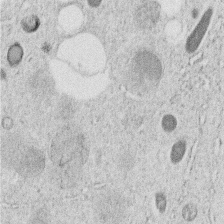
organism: C. elegans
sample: C. elegans embryo early stage